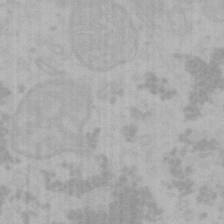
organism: Mouse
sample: Choroid plexus